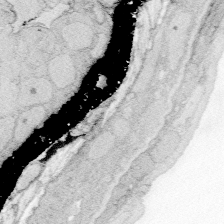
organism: Zebrafish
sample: Whole-Brain